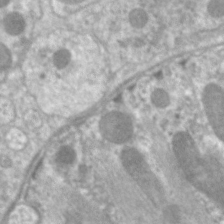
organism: C. elegans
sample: Pharynx